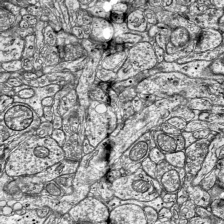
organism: Mouse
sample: Visual Cortex